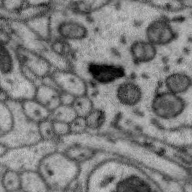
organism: Zebra finch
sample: Brain